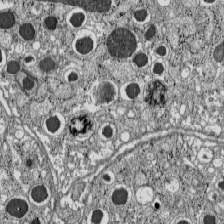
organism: C57BL Mouse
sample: Pancreatic islet